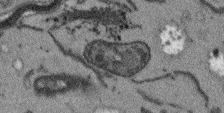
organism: Arabidopsis thaliana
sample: Root tip